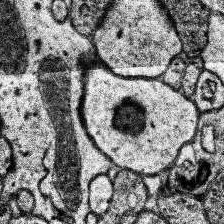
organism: Human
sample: Temporal Lobe